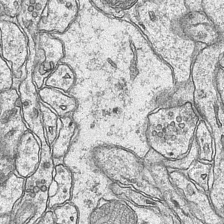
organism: Mouse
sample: CA1 Hippocampus